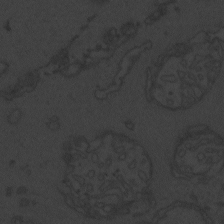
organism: Zebrafish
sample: Macrophage infected with Toxoplasma gondii